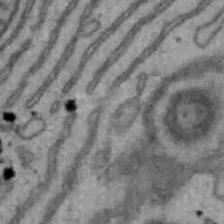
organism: Mouse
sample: Liver